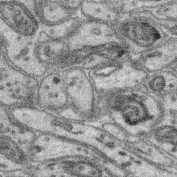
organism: Mouse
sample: Retina